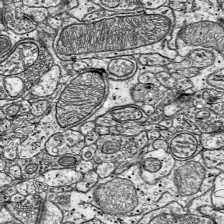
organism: Mouse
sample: Visual Cortex